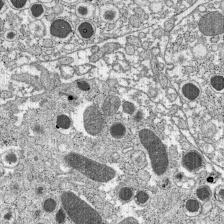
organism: C57BL Mouse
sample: Pancreatic islet